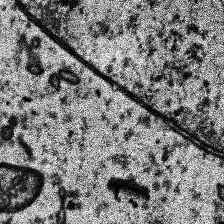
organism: Human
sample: Temporal Lobe